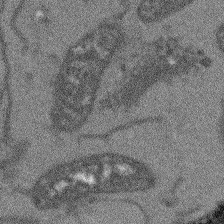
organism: Arabidopsis thaliana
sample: Root tip